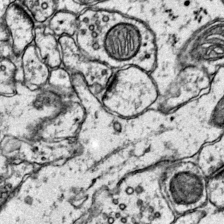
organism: Mouse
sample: Primary visual cortex